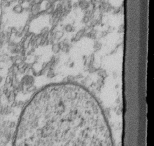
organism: Mouse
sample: Cilia; retinal pigment epithelium